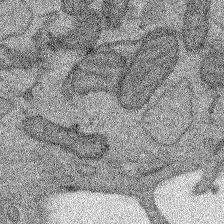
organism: Human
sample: HeLa cells